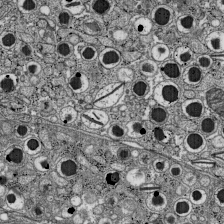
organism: C57BL Mouse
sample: Pancreatic islet